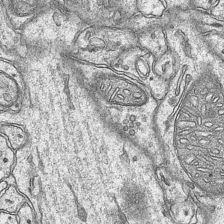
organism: Mouse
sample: CA1 Hippocampus